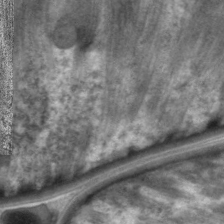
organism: C. elegans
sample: Pharynx